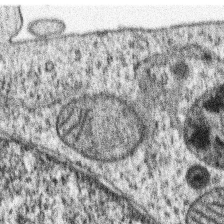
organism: Human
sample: HeLa cells